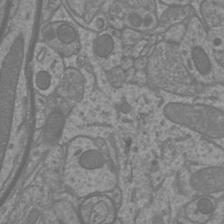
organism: Mouse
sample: Cortical neurons